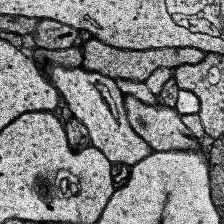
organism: Human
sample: Temporal Lobe